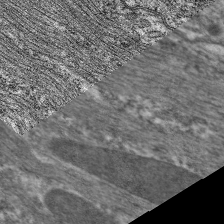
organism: C. elegans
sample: Pharynx